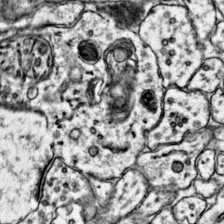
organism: Mouse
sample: Primary visual cortex